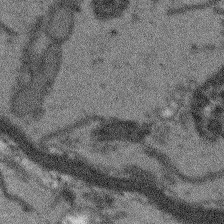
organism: Arabidopsis thaliana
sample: Root tip